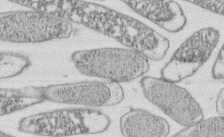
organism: E. coli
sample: Bacterial nucleoid